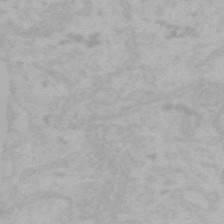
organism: Mouse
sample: Choroid plexus